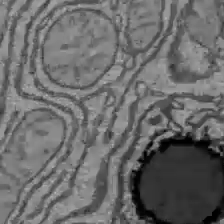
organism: C57BL Mouse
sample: Liver